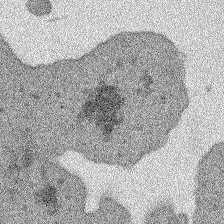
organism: Human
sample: HeLa cells